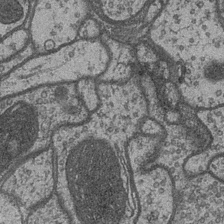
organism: Drosophila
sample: Optic medulla